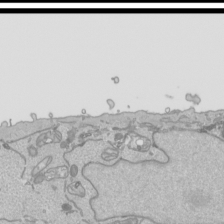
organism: Human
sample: Mitochondria in HCT116 cells